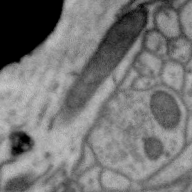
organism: Zebra finch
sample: Brain